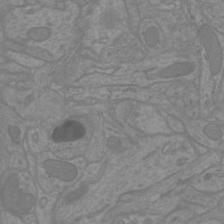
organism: Mouse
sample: Cortical neurons